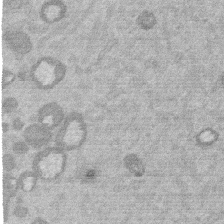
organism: Mouse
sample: Dividing mouse embryo 1 cell stage